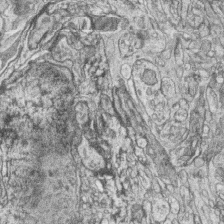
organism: Zebrafish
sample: synaptic ribbons in rod cells and cone cells